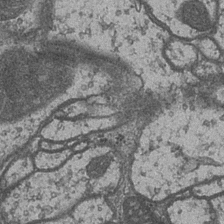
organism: Drosophila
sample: Optic medulla